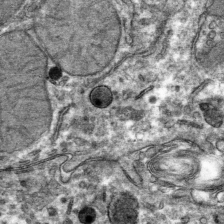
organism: Mouse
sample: Mouse hepatocytes